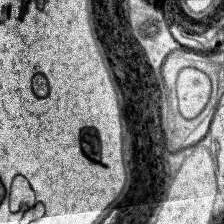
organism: Human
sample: Temporal Lobe